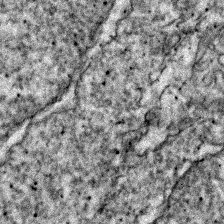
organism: Zebrafish